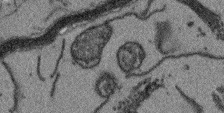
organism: Arabidopsis thaliana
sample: Root tip